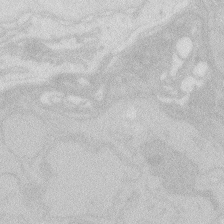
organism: Zebrafish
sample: Macrophage